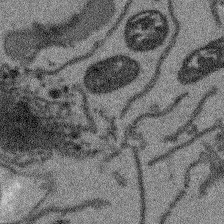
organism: Arabidopsis thaliana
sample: Root tip